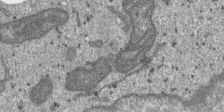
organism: Human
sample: Lung epithelial cells infected with SARS-CoV-2